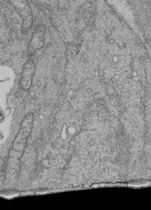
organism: Human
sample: Retinal organoid Rod and Cone cells